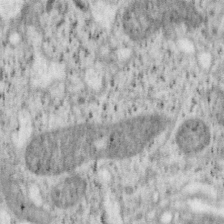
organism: Mouse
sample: OT-I killer T cells with ID8 ovarian cancer cells